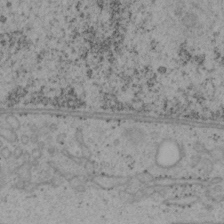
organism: Human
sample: HeLa cells